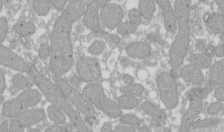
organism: Xenopus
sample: Cilia; centrioles in frog embryo cells